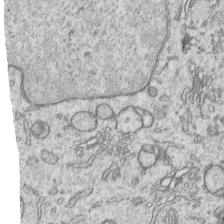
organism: Human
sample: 1205lu cells